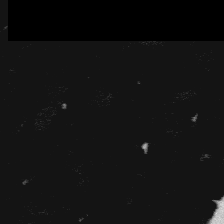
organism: Platynereis dumerilii